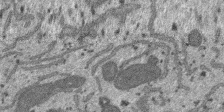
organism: Human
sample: Lung epithelial cells infected with SARS-CoV-2